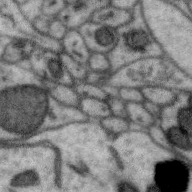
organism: Zebra finch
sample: Brain